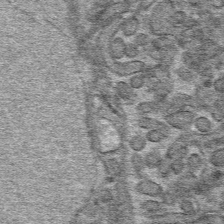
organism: Mouse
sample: Mouse hepatocytes